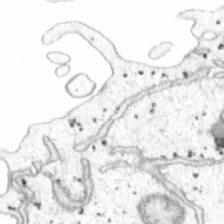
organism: Human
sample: HeLa cells